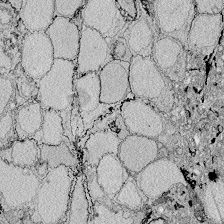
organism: Zebrafish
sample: Whole-Brain